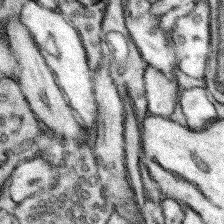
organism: Mouse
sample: Somatosensory cortex neuropil